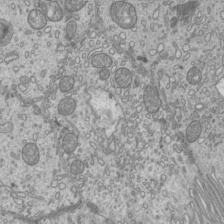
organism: Mouse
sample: Cilia; mouse epididymis